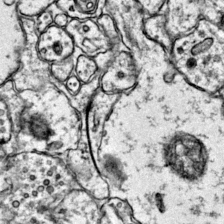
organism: Mouse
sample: Primary visual cortex